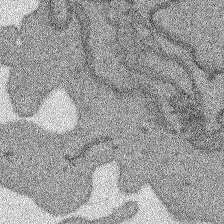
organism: Human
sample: HeLa cells